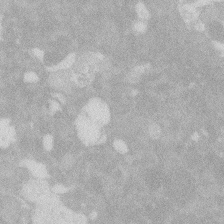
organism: Zebrafish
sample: Macrophage